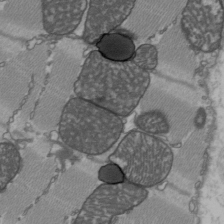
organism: C57BL Mouse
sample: Heart